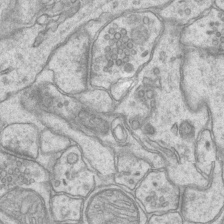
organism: Mouse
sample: CA1 Hippocampus